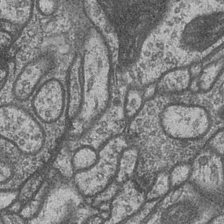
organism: Drosophila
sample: Optic medulla